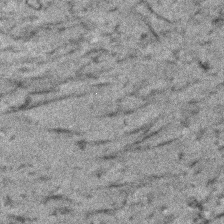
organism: Human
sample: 1205lu cells